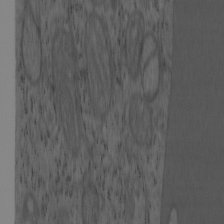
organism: Human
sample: HeLa cells